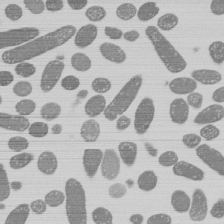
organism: E. coli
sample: Bacterial nucleoid